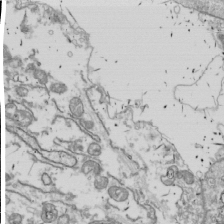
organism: Drosophila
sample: Cell division; meiosis; drosophila spermatocytes